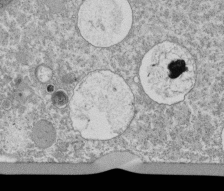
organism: Tetrahymena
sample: Cilia in tetrahymena